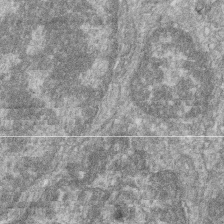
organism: Zebrafish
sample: Cilia; retinal pigment epithelium